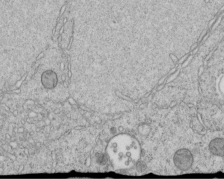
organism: C. elegans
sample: C. elegans embryo early stage